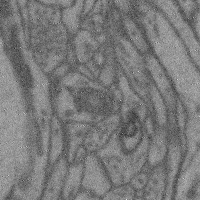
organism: Mouse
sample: Cerebral cortex